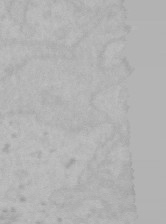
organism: Mouse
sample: Choroid plexus